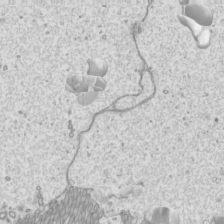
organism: Mouse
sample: Cilia; mouse epididymis